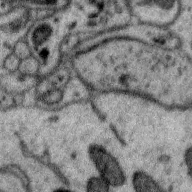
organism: Zebra finch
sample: Brain